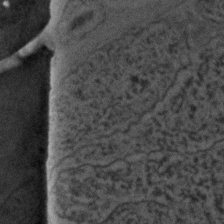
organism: C. elegans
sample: C. elegans embryo